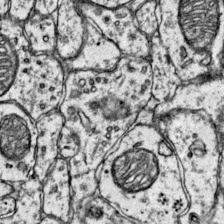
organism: Mouse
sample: Primary visual cortex